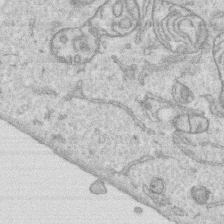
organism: Human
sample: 1205lu cells